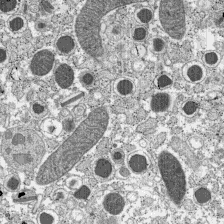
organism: C57BL Mouse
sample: Pancreatic islet